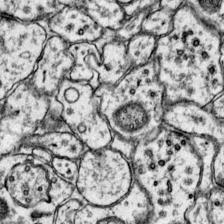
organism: Mouse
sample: Primary visual cortex